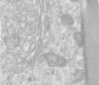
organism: Human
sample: Centriole in RPE cells